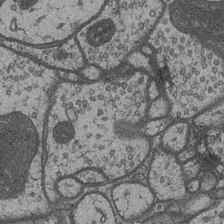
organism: Drosophila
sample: Optic medulla